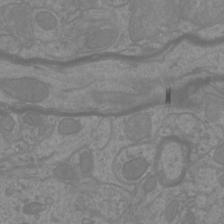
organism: Mouse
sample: Cortical neurons